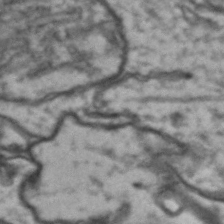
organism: Drosophila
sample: Brain